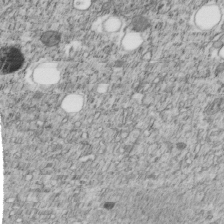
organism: C. elegans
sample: C. elegans embryo early stage